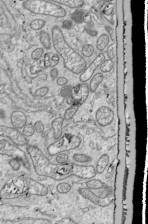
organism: Drosophila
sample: Cell division; meiosis; drosophila spermatocytes